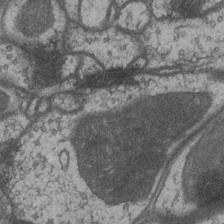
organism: Drosophila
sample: Optic medulla